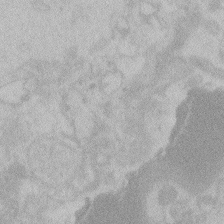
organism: Zebrafish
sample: Macrophage infected with Toxoplasma gondii